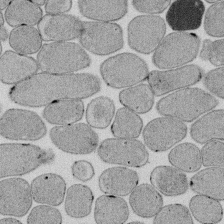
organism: E. coli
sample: Bacterial nucleoid